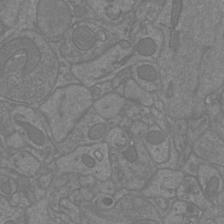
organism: Mouse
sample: Cortical neurons